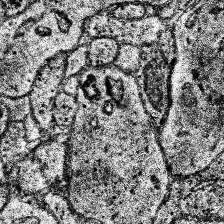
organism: Human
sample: Temporal Lobe